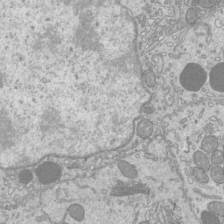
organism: Mouse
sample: Cilia; mouse epididymis